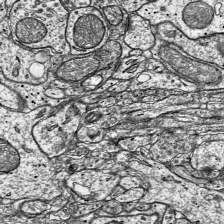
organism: Mouse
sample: Visual Cortex